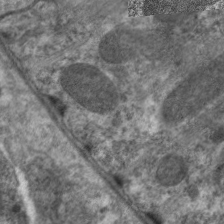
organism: C. elegans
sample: Pharynx